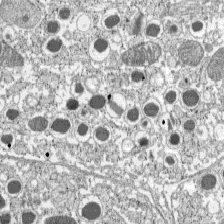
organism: C57BL Mouse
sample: Pancreatic islet